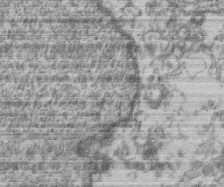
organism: Mouse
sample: T cell stromal cell synapse